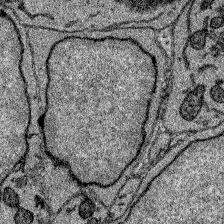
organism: Zebrafish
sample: Larval olfactory bulb